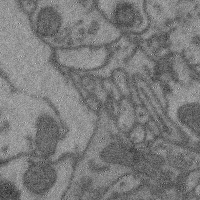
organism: Mouse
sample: Cerebral cortex